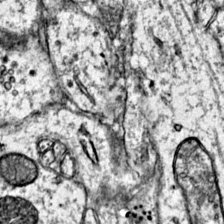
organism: Mouse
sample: Primary visual cortex